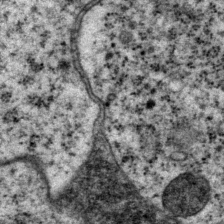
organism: P. pacificus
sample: Pharynx